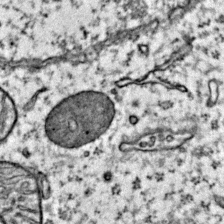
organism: Mouse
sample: Primary visual cortex